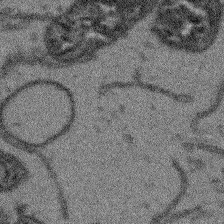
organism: Arabidopsis thaliana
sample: Root tip